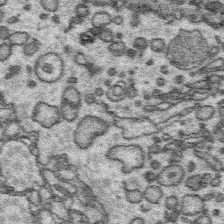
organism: Platynereis dumerilii